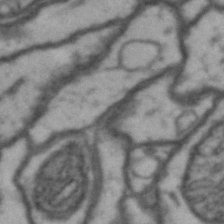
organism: Drosophila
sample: Brain